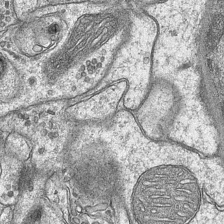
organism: Mouse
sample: CA1 Hippocampus